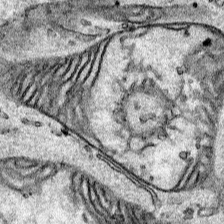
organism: Human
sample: Mitochondria in HCT116 cells